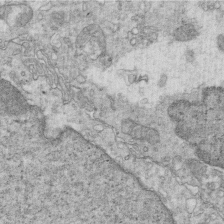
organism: Mouse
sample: Multiciliated cells